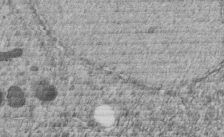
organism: C. elegans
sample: C. elegans embryo early stage